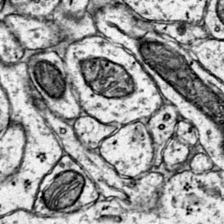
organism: Mouse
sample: Primary visual cortex